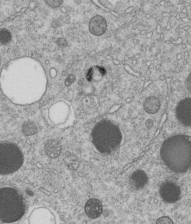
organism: C. elegans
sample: C. elegans embryo early stage